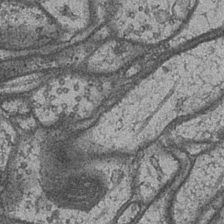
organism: Drosophila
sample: Optic medulla